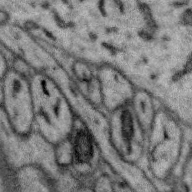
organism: Zebra finch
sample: Brain